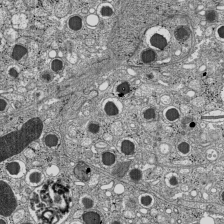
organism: C57BL Mouse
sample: Pancreatic islet